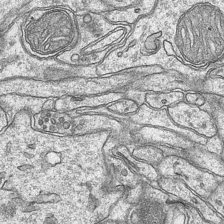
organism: Mouse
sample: CA1 Hippocampus